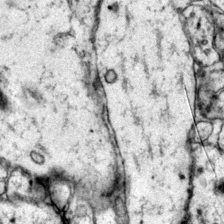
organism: Mouse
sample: Primary visual cortex